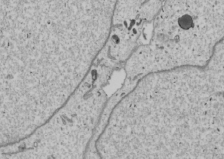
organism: Human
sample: Mitochondria in U2OS cells